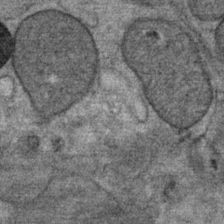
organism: Mouse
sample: Mouse Salivary gland